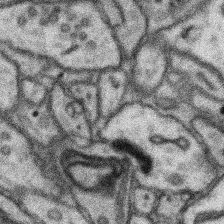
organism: Mouse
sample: Somatosensory cortex neuropil